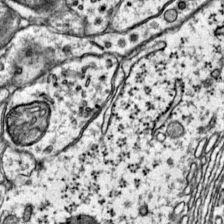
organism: Mouse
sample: Primary visual cortex